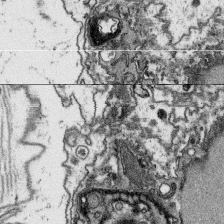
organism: Platynereis dumerilii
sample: Parapodia